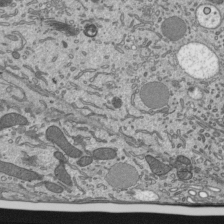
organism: Mouse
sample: Mouse epididymis efferent ductule cilia